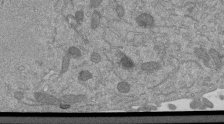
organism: Mouse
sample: ED-1 cell nuclei; centrioles